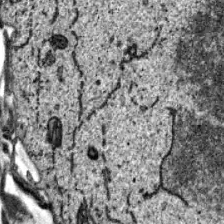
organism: Human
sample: HeLa cells